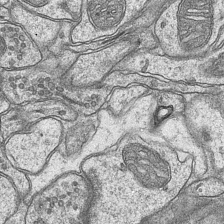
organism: Mouse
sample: CA1 Hippocampus